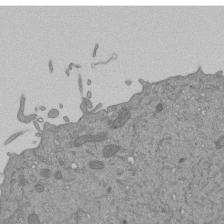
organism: Mouse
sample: ED-1 cell nuclei; centrioles